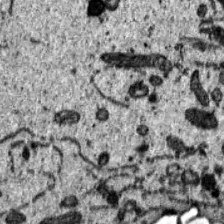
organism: Human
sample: HeLa cells